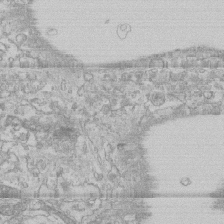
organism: Human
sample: CRL-1474